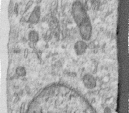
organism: Human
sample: Centriole in RPE cells